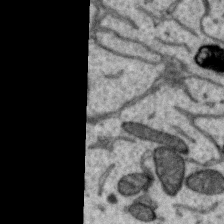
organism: Zebra finch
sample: Brain